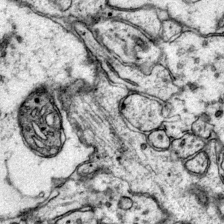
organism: Mouse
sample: Primary visual cortex